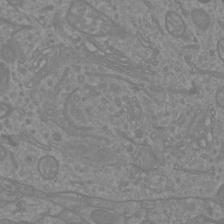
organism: Mouse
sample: Cortical neurons